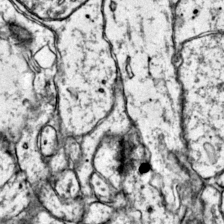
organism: Mouse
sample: Primary visual cortex